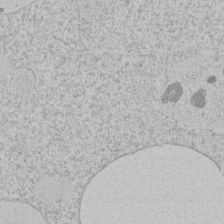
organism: Tetrahymena